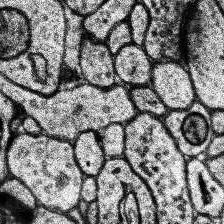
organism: Human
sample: Temporal Lobe